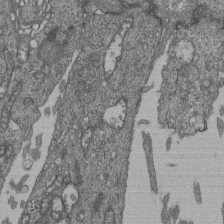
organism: Human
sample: Retinal organoid Rod and Cone cells